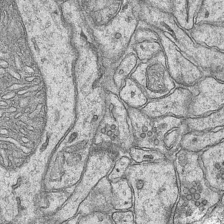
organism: Mouse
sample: CA1 Hippocampus